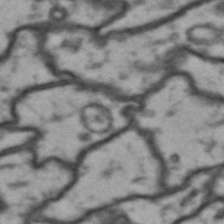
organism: Drosophila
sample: Brain